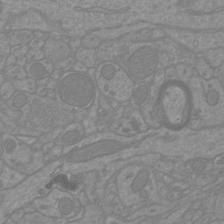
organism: Mouse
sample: Cortical neurons